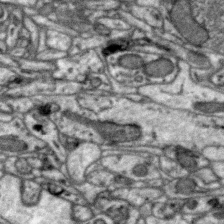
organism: Zebra finch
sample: Brain